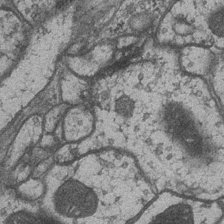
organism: Drosophila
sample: Optic medulla